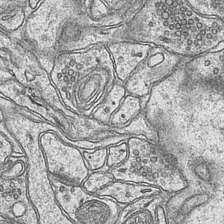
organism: Mouse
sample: CA1 Hippocampus